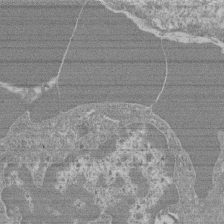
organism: Mouse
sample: Glomerulus